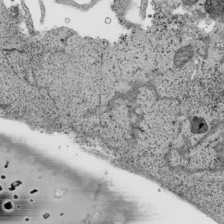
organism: Human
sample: Mitochondria in HCT116 cells